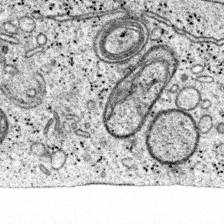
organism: Human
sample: HeLa cells